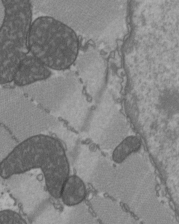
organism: C57BL Mouse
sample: Heart